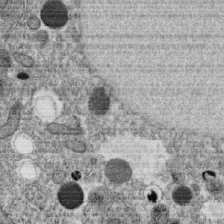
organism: C. elegans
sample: C. elegans oocyte; sperm cells